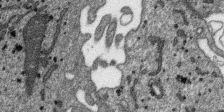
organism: Human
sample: Lung epithelial cells infected with SARS-CoV-2